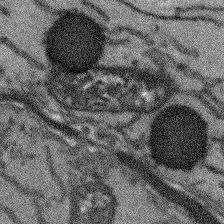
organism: Arabidopsis thaliana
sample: Root tip